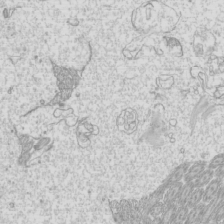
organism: Mouse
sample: Cilia; mouse epididymis